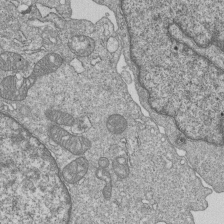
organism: Human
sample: MDA-MB-231 cells